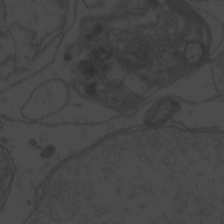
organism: Zebrafish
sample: Macrophage infected with Toxoplasma gondii